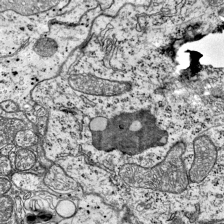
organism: Mouse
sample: Visual Cortex